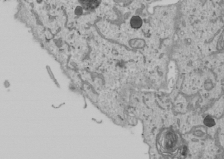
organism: Human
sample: Mitochondria in U2OS cells